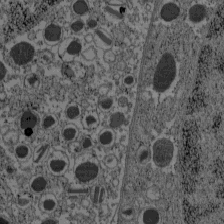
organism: C57BL Mouse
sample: Pancreatic islet